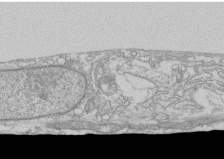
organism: Human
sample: CRL-1474